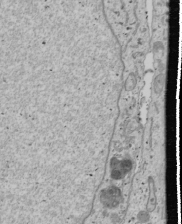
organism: Human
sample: Mitochondria in U2OS cells